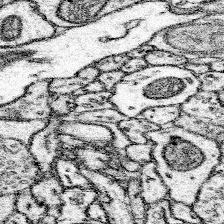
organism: Mouse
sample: Somatosensory cortex neuropil